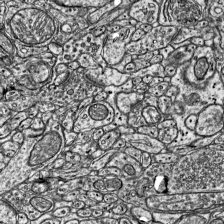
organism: Mouse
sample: Visual Cortex